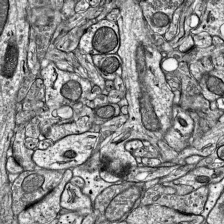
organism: Mouse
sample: Visual Cortex